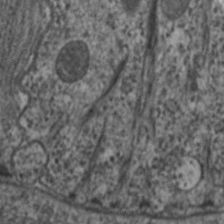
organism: C. elegans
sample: Pharynx